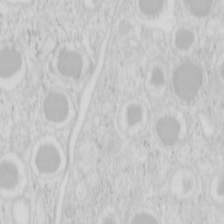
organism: Mouse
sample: Pancreas